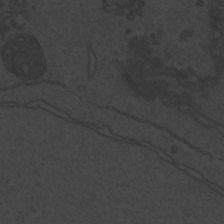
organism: Zebrafish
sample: Macrophage infected with Toxoplasma gondii